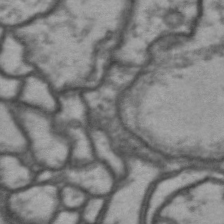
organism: Drosophila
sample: Brain